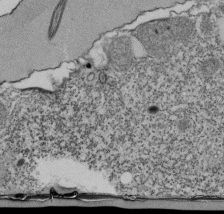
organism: Tetrahymena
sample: Cilia in tetrahymena